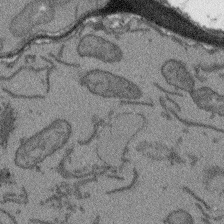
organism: Arabidopsis thaliana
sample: Root tip